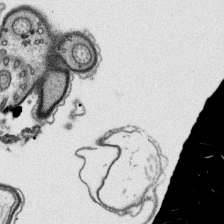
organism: Platynereis dumerilii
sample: Parapodia